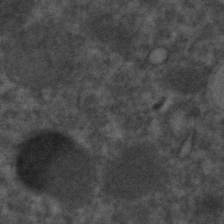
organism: C. elegans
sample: C. elegans embryo